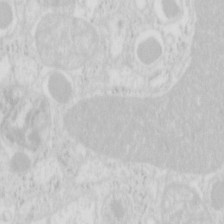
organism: Mouse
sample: Pancreas